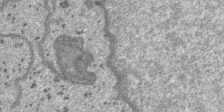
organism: Human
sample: Lung epithelial cells infected with SARS-CoV-2